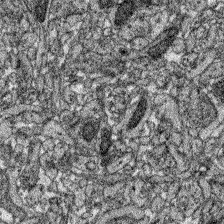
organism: Zebrafish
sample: Larval olfactory bulb